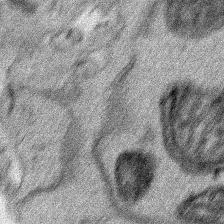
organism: Human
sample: Mitochondria in HCT116 cells